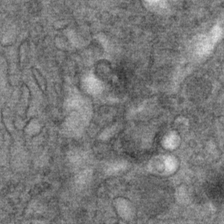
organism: Mouse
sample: Mouse Salivary gland